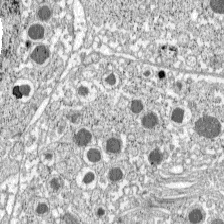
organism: C57BL Mouse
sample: Pancreatic islet